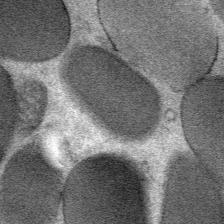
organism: Mouse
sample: Mouse Salivary gland